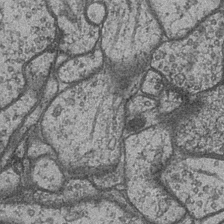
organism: Drosophila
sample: Optic medulla